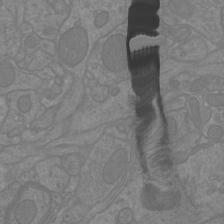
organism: Mouse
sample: Cortical neurons